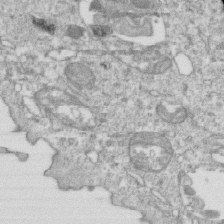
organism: Mouse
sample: Activated OT-1 CD8+ T cells